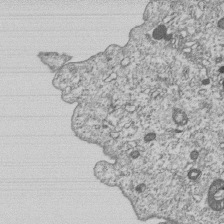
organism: Human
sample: MDA-MB-231 cells